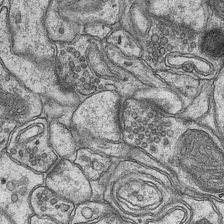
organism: Mouse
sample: CA1 Hippocampus